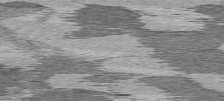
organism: C57BL Mouse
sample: Heart